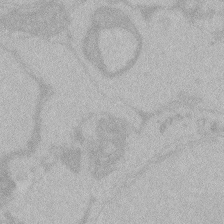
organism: Zebrafish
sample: Macrophage infected with Toxoplasma gondii